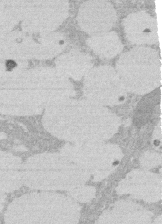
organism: Rat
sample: Salivary granule